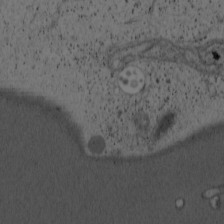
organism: African green monkey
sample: COS-7 cells